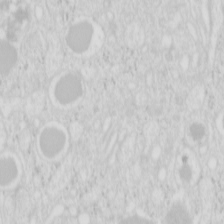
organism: Mouse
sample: Pancreas